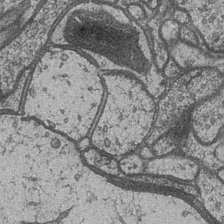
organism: Drosophila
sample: Optic medulla